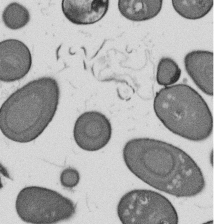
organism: B. subtilis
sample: Bacterial spore